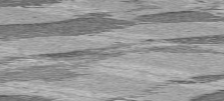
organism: C57BL Mouse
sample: Heart